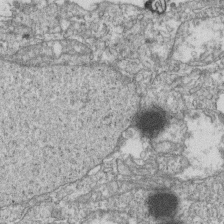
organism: Human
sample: HeLa cell HIV synapse